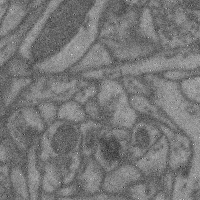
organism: Mouse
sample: Cerebral cortex